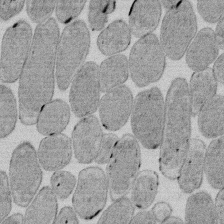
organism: E. coli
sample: Bacterial nucleoid